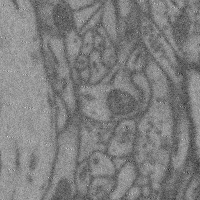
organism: Mouse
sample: Cerebral cortex